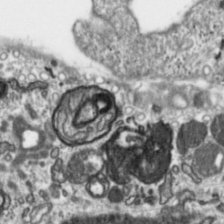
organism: Toxoplasma gondii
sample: Parasites in a vacuole inside a host cell